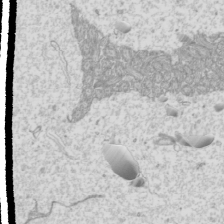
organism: Mouse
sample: Cilia; mouse epididymis